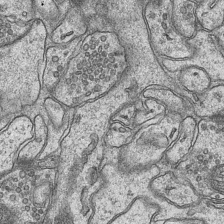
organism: Mouse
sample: CA1 Hippocampus